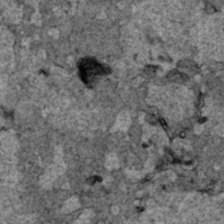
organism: Human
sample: Mitochondria in HCT116 cells